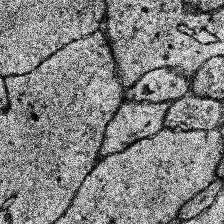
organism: Human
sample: Temporal Lobe